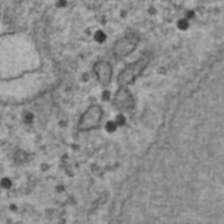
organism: Human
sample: Blood